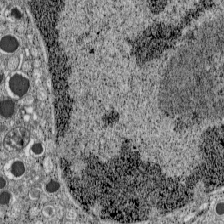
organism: C57BL Mouse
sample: Pancreatic islet